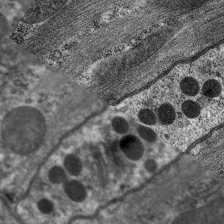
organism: C. elegans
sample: Pharynx